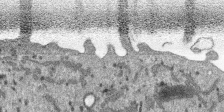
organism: Human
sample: Lung epithelial cells infected with SARS-CoV-2